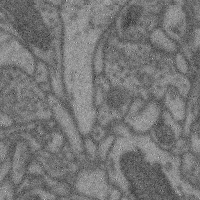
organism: Mouse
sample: Cerebral cortex